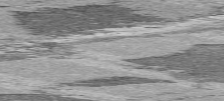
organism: C57BL Mouse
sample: Heart